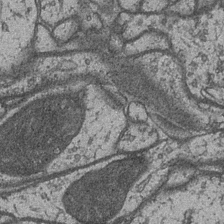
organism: Drosophila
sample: Optic medulla